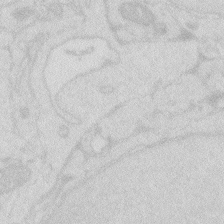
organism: Zebrafish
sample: Macrophage